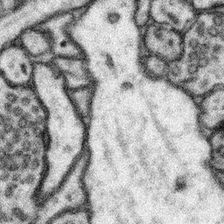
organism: Mouse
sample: Somatosensory cortex neuropil